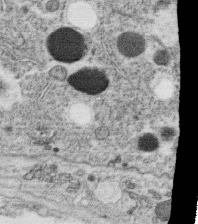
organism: C. elegans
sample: C. elegans oocyte; sperm cells